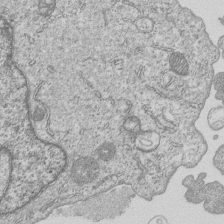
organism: Human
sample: MDA-MB-231 cells